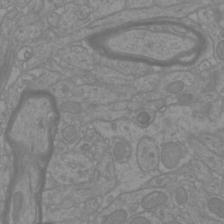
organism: Mouse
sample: Cortical neurons